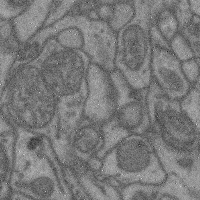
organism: Mouse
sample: Cerebral cortex